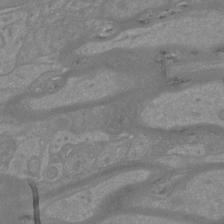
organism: Mouse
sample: Cortical neurons